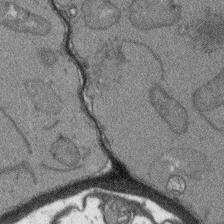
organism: Arabidopsis thaliana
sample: Root tip